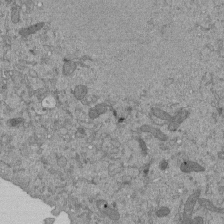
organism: Mouse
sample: ED-1 cell nuclei; centrioles